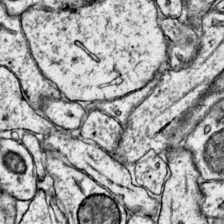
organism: Mouse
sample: Primary visual cortex